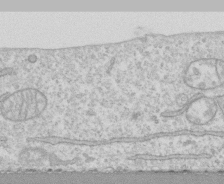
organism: Human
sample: CRL-1474